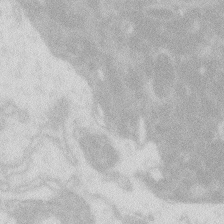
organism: Zebrafish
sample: Macrophage